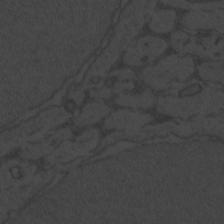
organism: Zebrafish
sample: Macrophage infected with Toxoplasma gondii